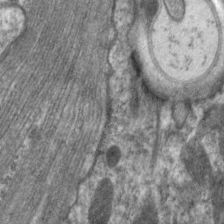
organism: C. elegans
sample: Pharynx